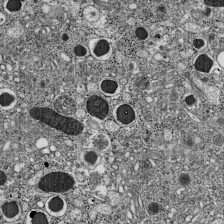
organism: C57BL Mouse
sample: Pancreatic islet